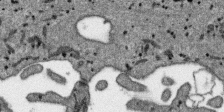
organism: Human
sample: Lung epithelial cells, uninfected (mock) control